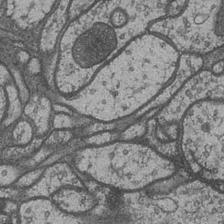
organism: Drosophila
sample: Optic medulla